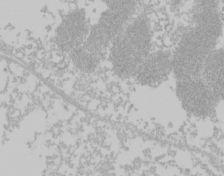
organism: Mouse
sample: Cancer cell death in ED-1 cells